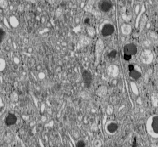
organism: C57BL Mouse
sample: Pancreatic islet